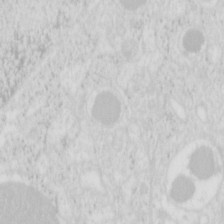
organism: Mouse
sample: Pancreas